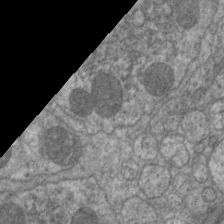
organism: C. elegans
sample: Pharynx